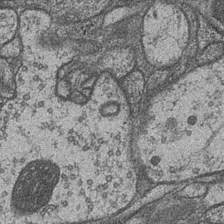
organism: Drosophila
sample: Optic medulla